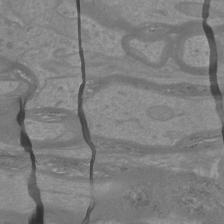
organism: Mouse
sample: Cortical neurons